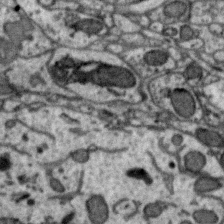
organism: Zebra finch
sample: Brain